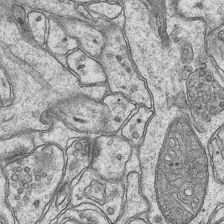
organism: Mouse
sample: CA1 Hippocampus